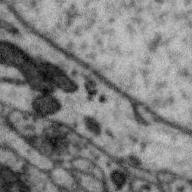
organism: Zebra finch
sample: Brain